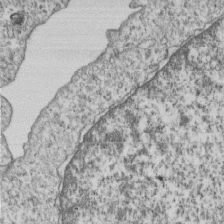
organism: Human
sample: MDA-MB-231 cells